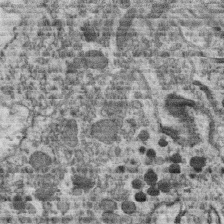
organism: C. elegans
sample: C. elegans oocyte; sperm cells